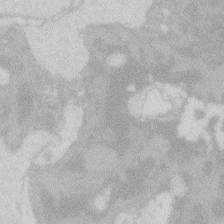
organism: Zebrafish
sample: Macrophage